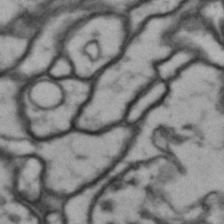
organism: Drosophila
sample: Brain